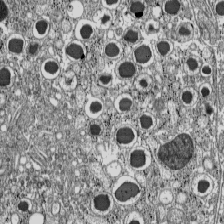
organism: C57BL Mouse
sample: Pancreatic islet